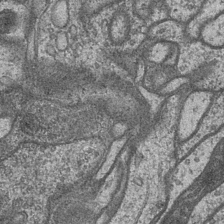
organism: Drosophila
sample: Optic medulla